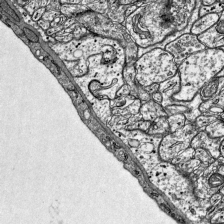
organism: Mouse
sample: Visual Cortex